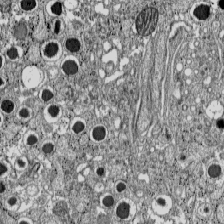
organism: C57BL Mouse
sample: Pancreatic islet